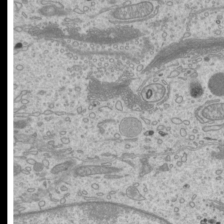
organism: Mouse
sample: Cilia; mouse epididymis